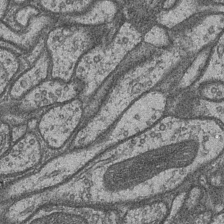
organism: Drosophila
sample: Optic medulla